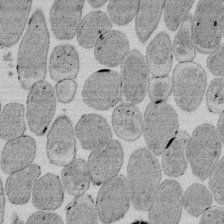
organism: E. coli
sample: Bacterial nucleoid